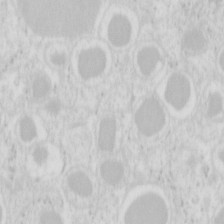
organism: Mouse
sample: Pancreas